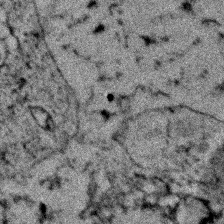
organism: Zebrafish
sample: Zebrafish embryo